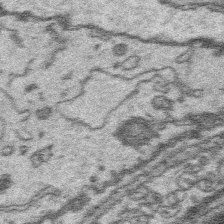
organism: Platynereis dumerilii